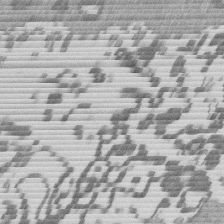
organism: Mouse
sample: Dividing mouse embryo 1 cell stage